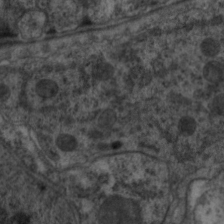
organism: C. elegans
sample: Pharynx